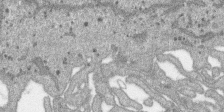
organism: Human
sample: Lung epithelial cells infected with SARS-CoV-2